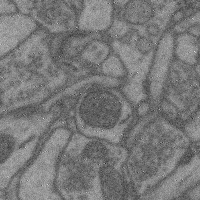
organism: Mouse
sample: Cerebral cortex